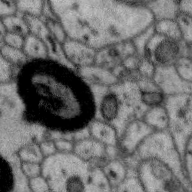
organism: Zebra finch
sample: Brain